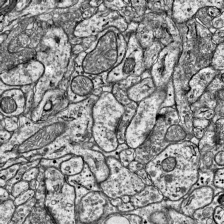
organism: Mouse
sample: Visual Cortex